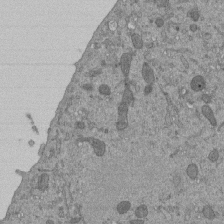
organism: Mouse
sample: ED-1 cell nuclei; centrioles